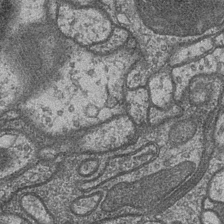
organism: Drosophila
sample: Optic medulla